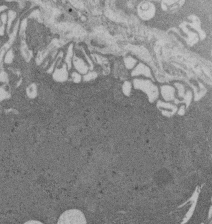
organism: Rat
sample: Salivary granule